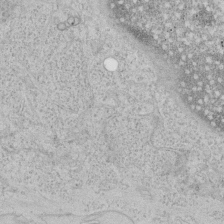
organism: Human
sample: Mitochondria in HCT116 cells